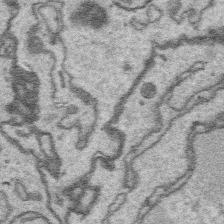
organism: Platynereis dumerilii